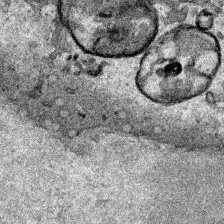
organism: Human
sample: Mitochondria in HCT116 cells